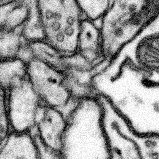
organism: Mouse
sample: Somatosensory cortex neuropil